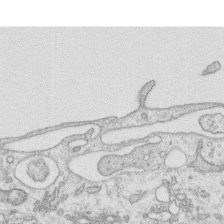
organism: Human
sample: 1205lu cells